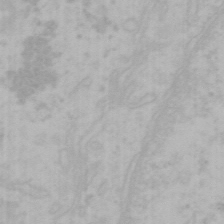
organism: Mouse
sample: Choroid plexus